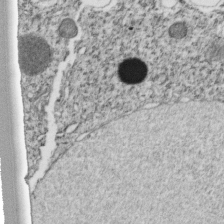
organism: C. elegans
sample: C. elegans embryo early stage